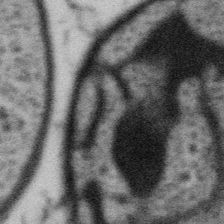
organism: Gemmata obscuriglobus